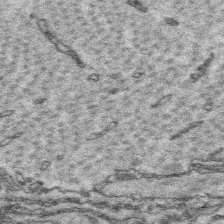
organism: Platynereis dumerilii